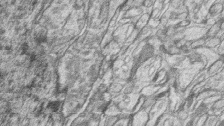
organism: Zebrafish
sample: synaptic ribbons in rod cells and cone cells